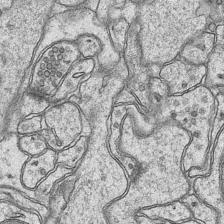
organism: Mouse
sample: CA1 Hippocampus